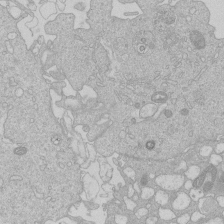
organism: Human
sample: Macrophage cells